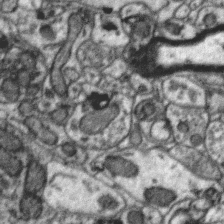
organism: Zebra finch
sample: Brain